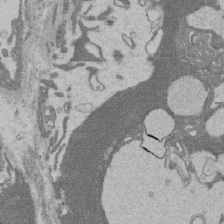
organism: Rat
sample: Salivary granule